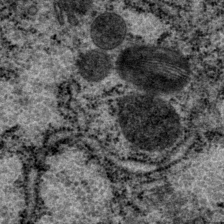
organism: P. pacificus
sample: Pharynx